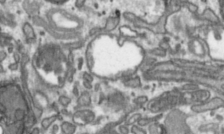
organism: Toxoplasma gondii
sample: Parasites in a vacuole inside a host cell